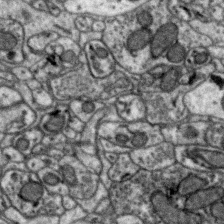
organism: Zebra finch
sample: Brain